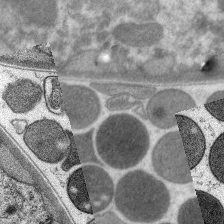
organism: C. elegans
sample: Pharynx